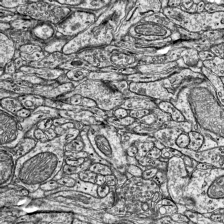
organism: Mouse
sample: Visual Cortex